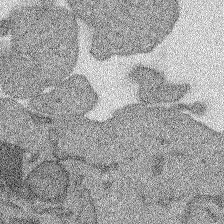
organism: Human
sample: HeLa cells